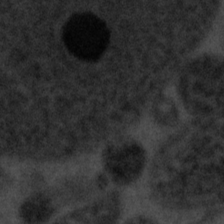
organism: Tuwongella immobilis